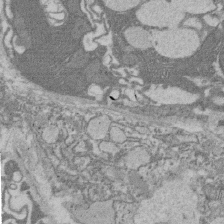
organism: Rat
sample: Salivary granule